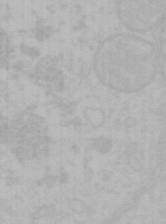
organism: Mouse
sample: Choroid plexus